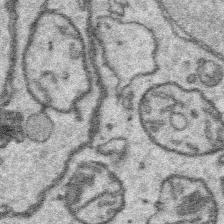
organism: Platynereis dumerilii